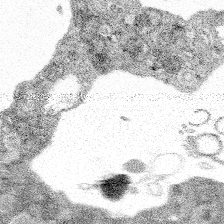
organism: Spongilla lacustris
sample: Multiple